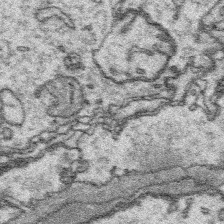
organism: Platynereis dumerilii